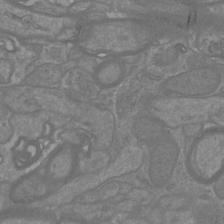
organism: Mouse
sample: Cortical neurons